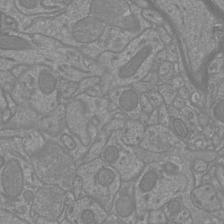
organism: Mouse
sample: Cortical neurons